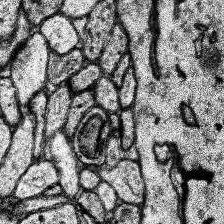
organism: Human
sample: Temporal Lobe